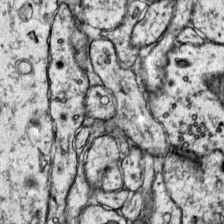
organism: Mouse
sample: Primary visual cortex